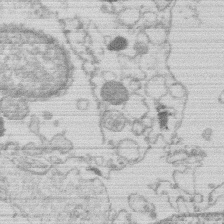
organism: Human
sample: Macrophage cells